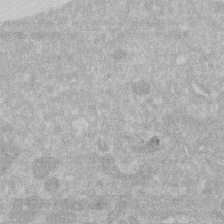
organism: Human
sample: HIV infected U937 cells